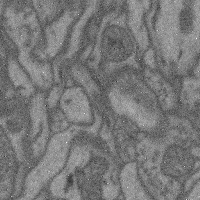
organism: Mouse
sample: Cerebral cortex